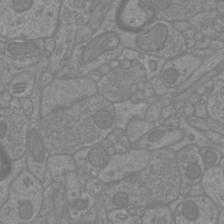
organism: Mouse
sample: Cortical neurons